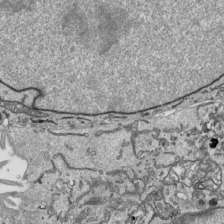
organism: Human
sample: Mitochondria in HCT116 cells